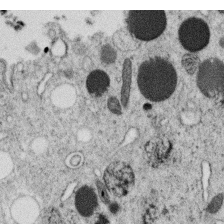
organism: C. elegans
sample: C. elegans oocyte; sperm cells